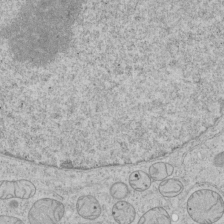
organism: Human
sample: Mitochondria in HCT116 cells